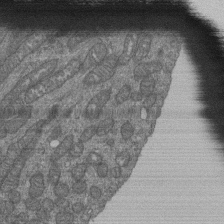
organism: Human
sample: Retinal organoid Rod and Cone cells